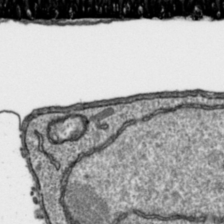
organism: Toxoplasma gondii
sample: Parasites in a vacuole inside a host cell